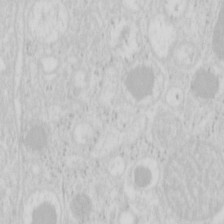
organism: Mouse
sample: Pancreas